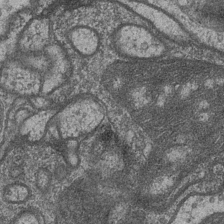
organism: Drosophila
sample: Optic medulla